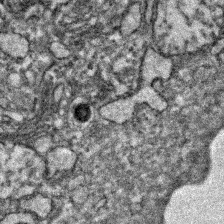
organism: Zebrafish